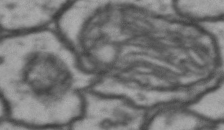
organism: Drosophila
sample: Brain